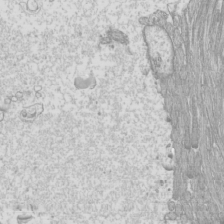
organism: Mouse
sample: Cilia; mouse epididymis